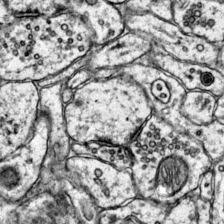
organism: Mouse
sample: Primary visual cortex